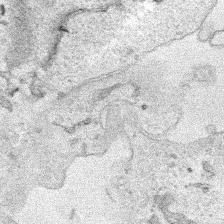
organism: Human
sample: Mitochondria in HCT116 cells